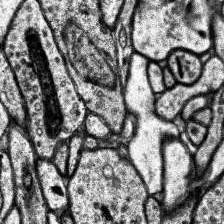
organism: Human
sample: Temporal Lobe